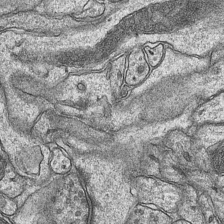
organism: Mouse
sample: CA1 Hippocampus